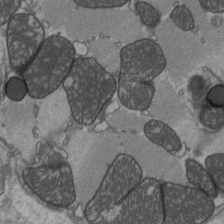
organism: C57BL Mouse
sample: Heart